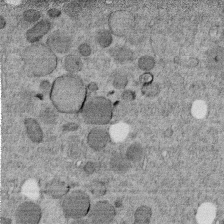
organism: C. elegans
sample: C. elegans embryo early stage